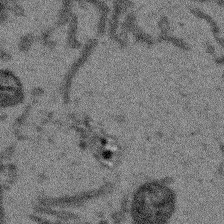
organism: Arabidopsis thaliana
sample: Root tip